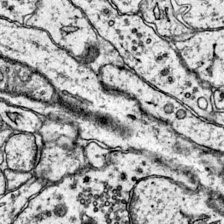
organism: Mouse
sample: Primary visual cortex